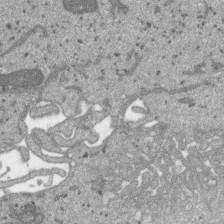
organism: Human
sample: Lung epithelial cells infected with SARS-CoV-2